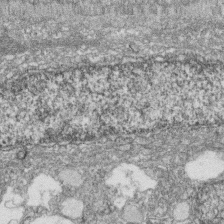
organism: Zebrafish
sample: Cilia; retinal pigment epithelium